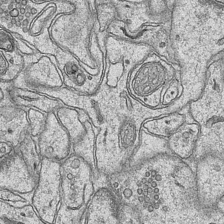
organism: Mouse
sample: CA1 Hippocampus